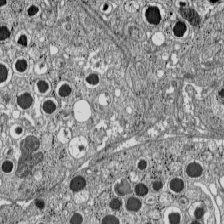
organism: C57BL Mouse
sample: Pancreatic islet